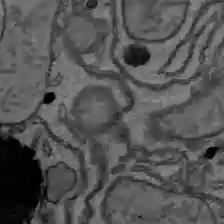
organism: C57BL Mouse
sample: Liver